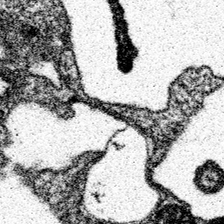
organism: Spongilla lacustris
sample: Neuroid cell